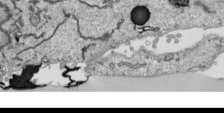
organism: Human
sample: Mitochondria in HCT116 cells